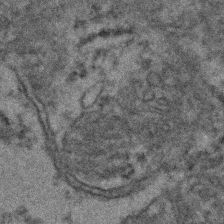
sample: Kidney